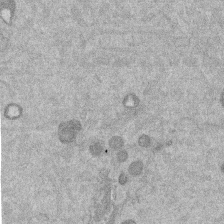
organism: Mouse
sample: Dividing mouse embryo 1 cell stage